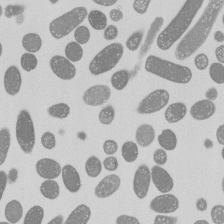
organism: E. coli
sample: Bacterial nucleoid